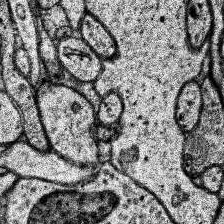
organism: Human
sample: Temporal Lobe